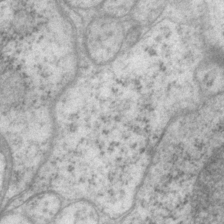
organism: P. pacificus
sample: Pharynx